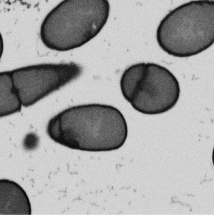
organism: B. subtilis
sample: Bacterial spore